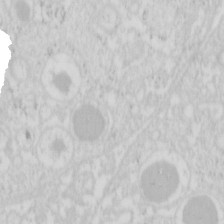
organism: Mouse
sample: Pancreas